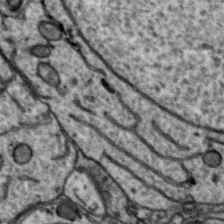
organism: Zebra finch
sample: Brain